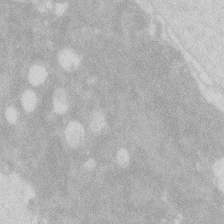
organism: Zebrafish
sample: Macrophage